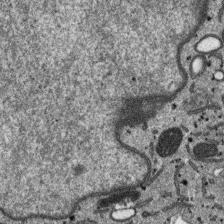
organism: Human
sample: Lung epithelial cells infected with SARS-CoV-2